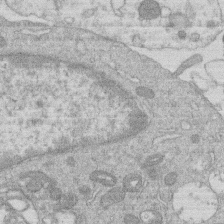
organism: Human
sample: Macrophage cells